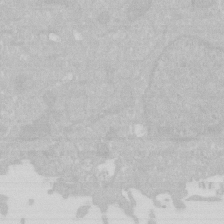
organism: Human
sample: HIV infected U937 cells